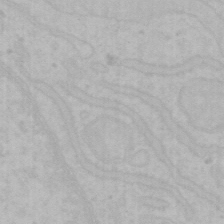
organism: Mouse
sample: Choroid plexus